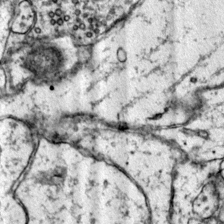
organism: Mouse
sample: Primary visual cortex